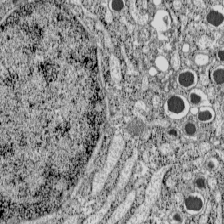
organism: C57BL Mouse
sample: Pancreatic islet